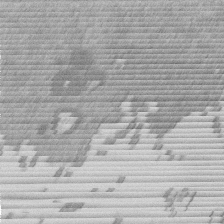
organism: Mouse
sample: Dividing mouse embryo 1 cell stage